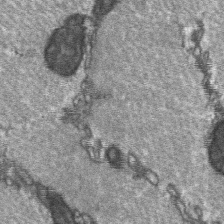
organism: C57BL Mouse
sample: Soleus